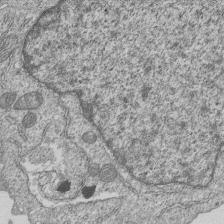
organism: Human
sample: MDA-MB-231 cells